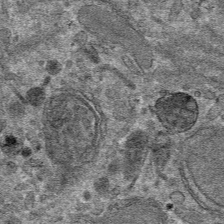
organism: Mouse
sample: Mouse hepatocytes